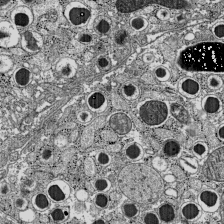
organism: C57BL Mouse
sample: Pancreatic islet